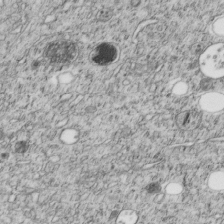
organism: C. elegans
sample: C. elegans embryo early stage